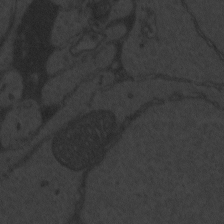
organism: Zebrafish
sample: Macrophage infected with Toxoplasma gondii